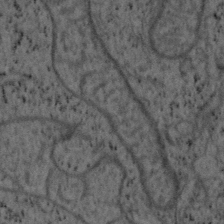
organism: Human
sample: HeLa cells